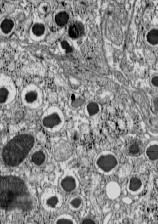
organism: C57BL Mouse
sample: Pancreatic islet